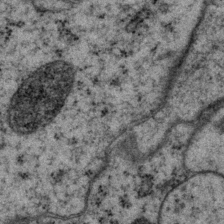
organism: P. pacificus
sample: Pharynx